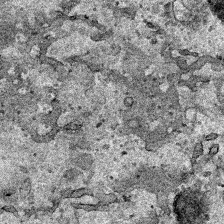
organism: Human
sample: Mitochondria in HCT116 cells